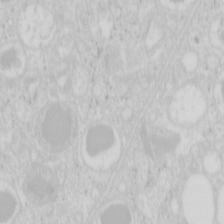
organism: Mouse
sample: Pancreas